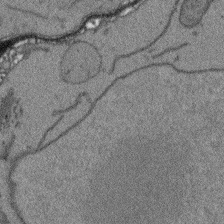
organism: Arabidopsis thaliana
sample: Root tip